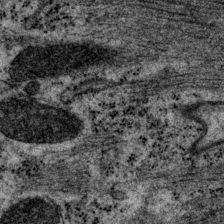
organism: P. pacificus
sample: Pharynx